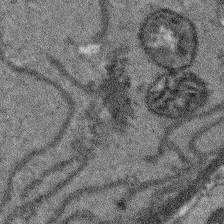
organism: Arabidopsis thaliana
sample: Root tip